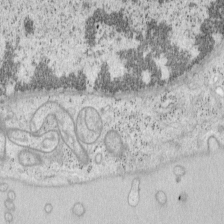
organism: Mouse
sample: OT-I killer T cells with ID8 ovarian cancer cells